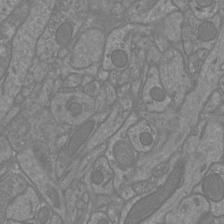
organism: Mouse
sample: Cortical neurons